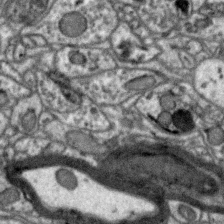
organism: Zebra finch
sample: Brain